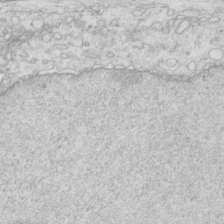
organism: Mouse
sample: Multiciliated cells